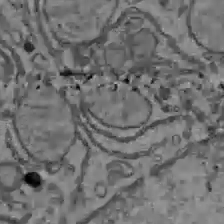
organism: C57BL Mouse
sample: Liver